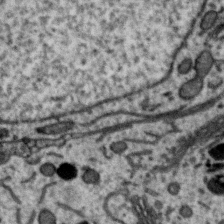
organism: Zebra finch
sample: Brain